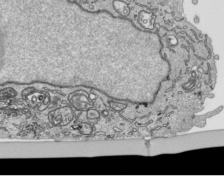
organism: Human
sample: Mitochondria in HCT116 cells